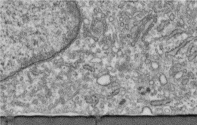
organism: Human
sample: Centriole in fibroblast cells